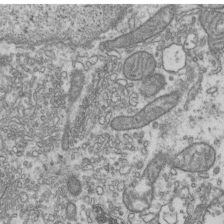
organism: Human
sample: Activated Jurkat CD4+ T cells